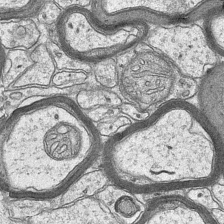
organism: Mouse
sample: CA1 Hippocampus